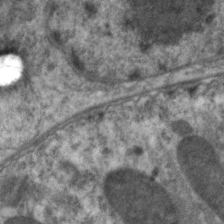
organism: C. elegans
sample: Pharynx